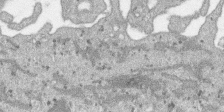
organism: Human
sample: Lung epithelial cells infected with SARS-CoV-2